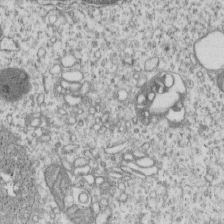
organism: Human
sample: MDA-MB-231 cells